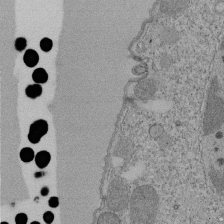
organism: Tetrahymena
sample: Cilia in tetrahymena